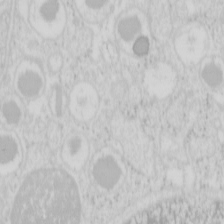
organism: Mouse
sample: Pancreas